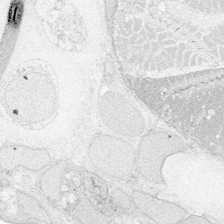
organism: Zebrafish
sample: Whole-Brain